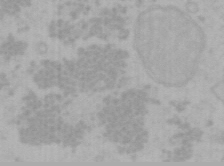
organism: Mouse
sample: Choroid plexus